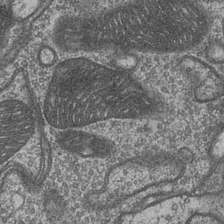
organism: Drosophila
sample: Optic medulla